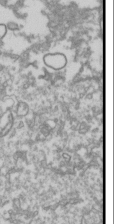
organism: Drosophila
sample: Cell division; meiosis; drosophila spermatocytes